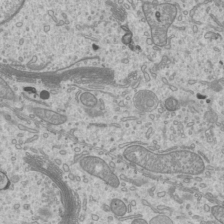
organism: Mouse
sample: Cilia; mouse epididymis